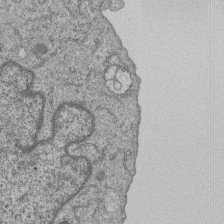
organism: Human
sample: MDA-MB-231 cells